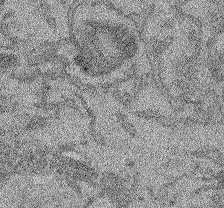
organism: Human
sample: HeLa cells